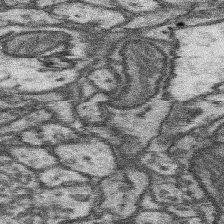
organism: Mouse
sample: Somatosensory cortex neuropil